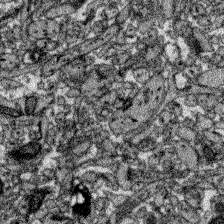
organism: Zebrafish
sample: Larval olfactory bulb